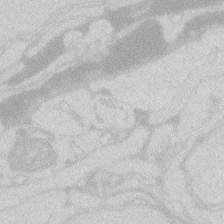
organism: Zebrafish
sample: Macrophage